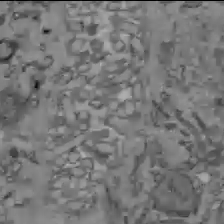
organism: C57BL Mouse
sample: Liver